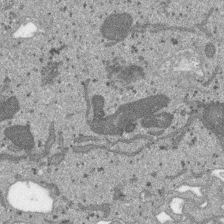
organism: Human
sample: Lung epithelial cells infected with SARS-CoV-2